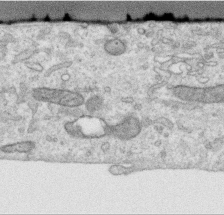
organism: Human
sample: Centriole in RPE cells